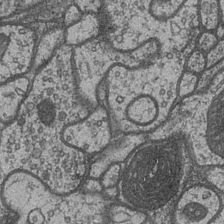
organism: Drosophila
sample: Optic medulla